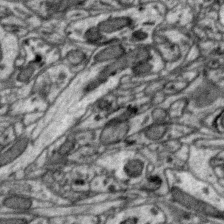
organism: Zebra finch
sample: Brain